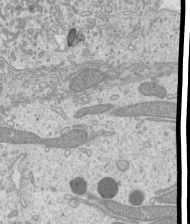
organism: Mouse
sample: Cilia; mouse epididymis